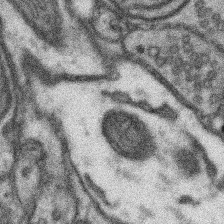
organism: Mouse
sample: Somatosensory cortex neuropil